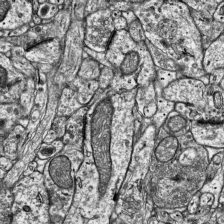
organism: Mouse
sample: Visual Cortex